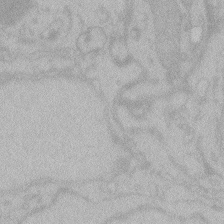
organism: Zebrafish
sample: Macrophage infected with Toxoplasma gondii